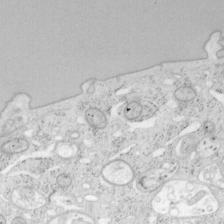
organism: Mouse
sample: OT-I killer T cells with ID8 ovarian cancer cells